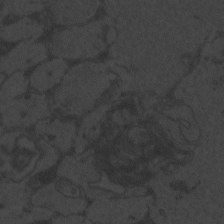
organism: Zebrafish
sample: Macrophage infected with Toxoplasma gondii